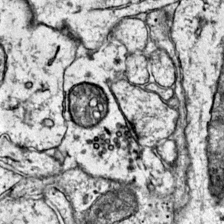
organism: Mouse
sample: Primary visual cortex